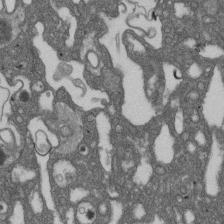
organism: Drosophila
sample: Nephrocyte